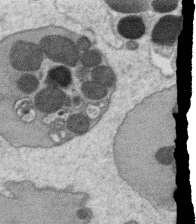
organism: C. elegans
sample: C. elegans oocyte; sperm cells